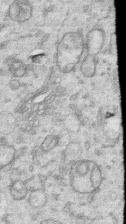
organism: Human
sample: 1205lu cells